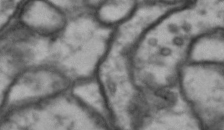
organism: Drosophila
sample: Brain